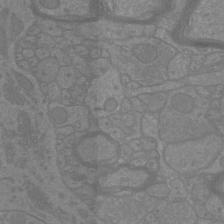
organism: Mouse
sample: Cortical neurons